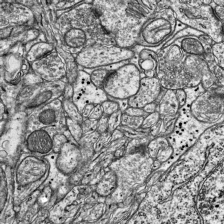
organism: Mouse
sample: Visual Cortex